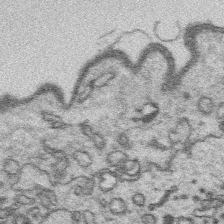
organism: Platynereis dumerilii